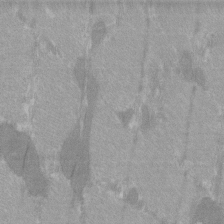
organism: C57BL Mouse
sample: Tibialis anterior muscle cell